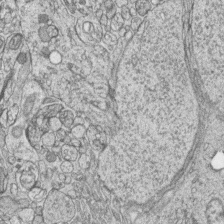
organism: Zebrafish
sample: synaptic ribbons in rod cells and cone cells